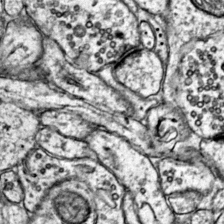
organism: Mouse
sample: Primary visual cortex